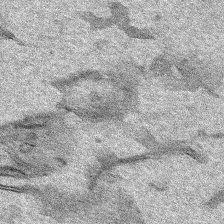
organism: Human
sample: Mitochondria in HCT116 cells